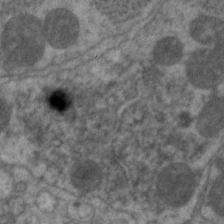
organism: C. elegans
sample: Pharynx